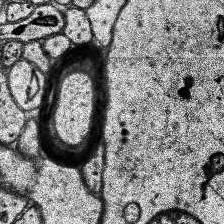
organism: Human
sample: Temporal Lobe